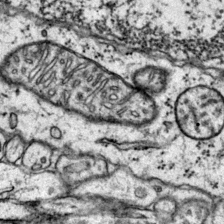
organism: Mouse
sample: Primary visual cortex